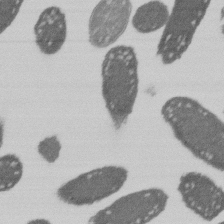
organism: E. coli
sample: Bacterial nucleoid